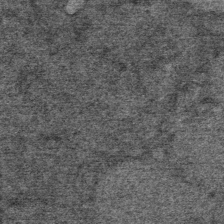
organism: Mouse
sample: Mouse Salivary gland